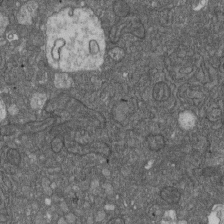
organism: Drosophila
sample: Nephrocyte